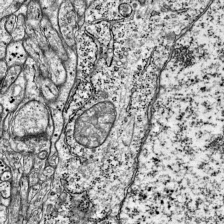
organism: Mouse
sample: Visual Cortex